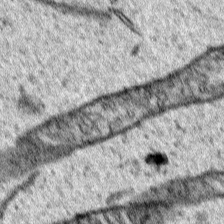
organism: Human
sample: Mitochondria in HCT116 cells